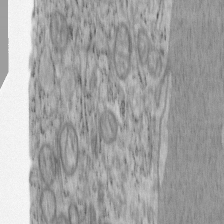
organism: Human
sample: HeLa cells